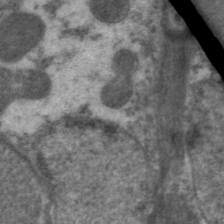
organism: C. elegans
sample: Pharynx